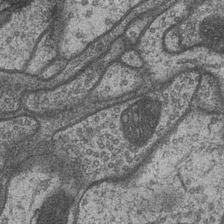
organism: Drosophila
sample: Optic medulla